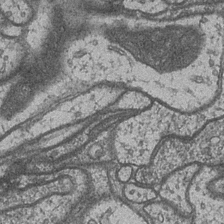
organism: Drosophila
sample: Optic medulla